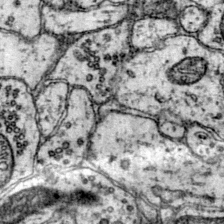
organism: Mouse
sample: Primary visual cortex